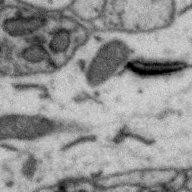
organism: Zebra finch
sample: Brain